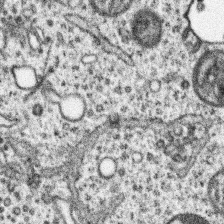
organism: Human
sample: HeLa cells